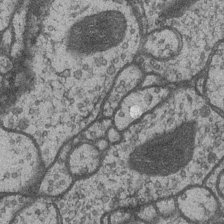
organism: Drosophila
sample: Optic medulla